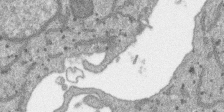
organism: Human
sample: Lung epithelial cells infected with SARS-CoV-2